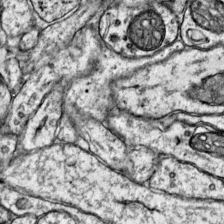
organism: Mouse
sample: Primary visual cortex